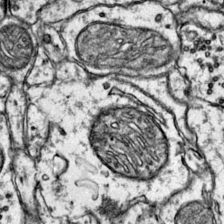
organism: Mouse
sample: Primary visual cortex